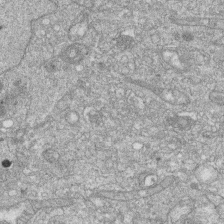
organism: Human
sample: HeLa cell HIV synapse